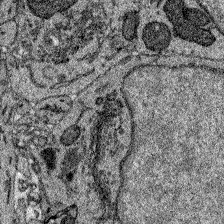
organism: Zebrafish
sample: Larval olfactory bulb